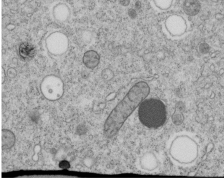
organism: C. elegans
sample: C. elegans embryo early stage